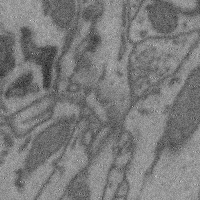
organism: Mouse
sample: Cerebral cortex